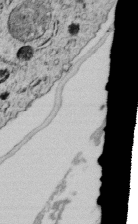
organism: C. elegans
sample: C. elegans embryo early stage